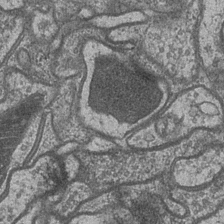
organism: Drosophila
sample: Optic medulla